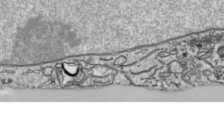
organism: Human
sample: Mitochondria in HCT116 cells